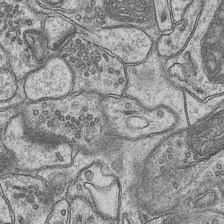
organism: Mouse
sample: CA1 Hippocampus